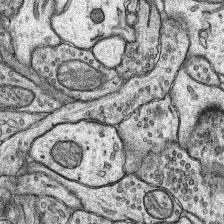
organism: Rat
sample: Hippocampus